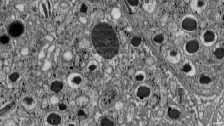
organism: C57BL Mouse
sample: Pancreatic islet